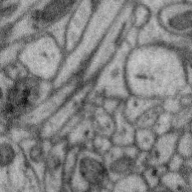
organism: Zebra finch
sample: Brain